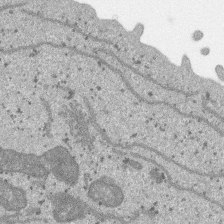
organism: Human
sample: Lung epithelial cells infected with SARS-CoV-2